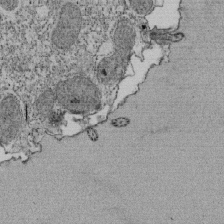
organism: Tetrahymena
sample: Cilia in tetrahymena